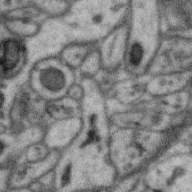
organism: Zebra finch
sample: Brain